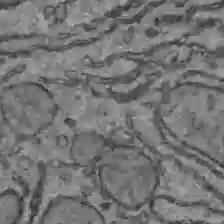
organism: C57BL Mouse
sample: Liver